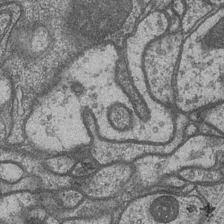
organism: Drosophila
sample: Optic medulla